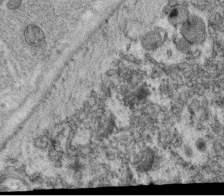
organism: C. elegans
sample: C. elegans oocyte; sperm cells